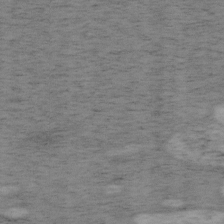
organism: Mouse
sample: OT-I killer T cells with ID8 ovarian cancer cells